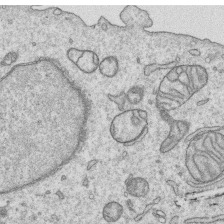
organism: Human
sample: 1205lu cells